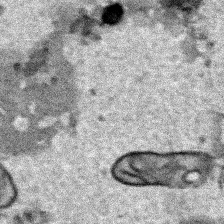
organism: Human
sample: Mitochondria in HCT116 cells